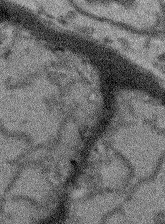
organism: Arabidopsis thaliana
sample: Root tip